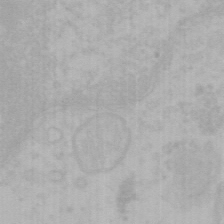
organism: Mouse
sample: Choroid plexus